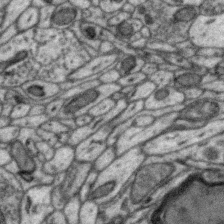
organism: Zebra finch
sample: Brain